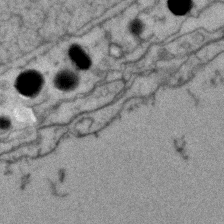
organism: Zebrafish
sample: Zebrafish embryo